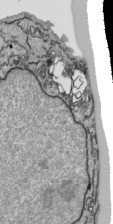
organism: Human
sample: Mitochondria in HCT116 cells